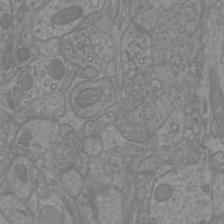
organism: Mouse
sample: Cortical neurons